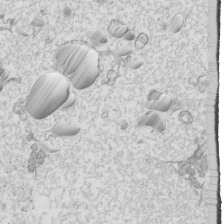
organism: Mouse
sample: Cilia; mouse epididymis